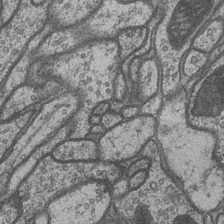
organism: Drosophila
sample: Optic medulla